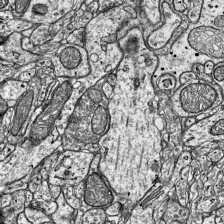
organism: Mouse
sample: Visual Cortex